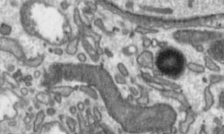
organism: Toxoplasma gondii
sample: Parasites in a vacuole inside a host cell